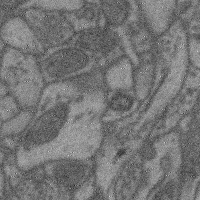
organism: Mouse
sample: Cerebral cortex